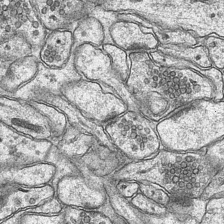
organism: Mouse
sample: CA1 Hippocampus